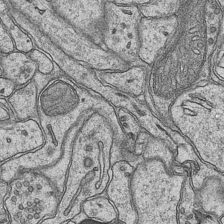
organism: Mouse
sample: CA1 Hippocampus